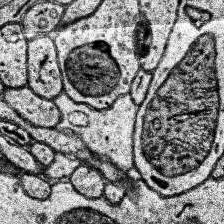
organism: Human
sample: Temporal Lobe